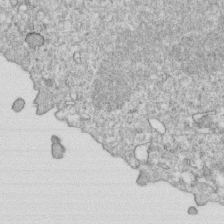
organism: Mouse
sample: Activated OT-1 CD8+ T cells